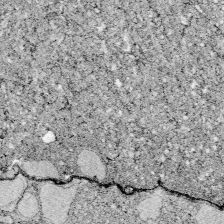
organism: Zebrafish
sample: Whole-Brain